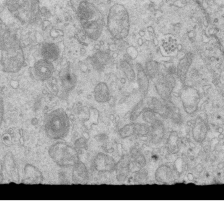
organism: Mouse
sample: Multiciliated cells